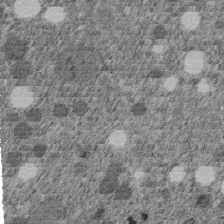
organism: C. elegans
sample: C. elegans embryo early stage